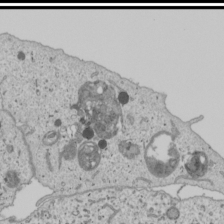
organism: Human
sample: Mitochondria in U2OS cells